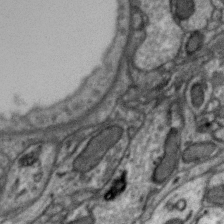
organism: Zebra finch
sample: Brain